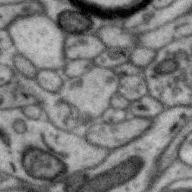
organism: Zebra finch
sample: Brain